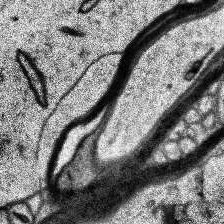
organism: Human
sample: Temporal Lobe